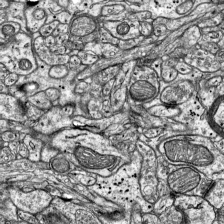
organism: Mouse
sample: Visual Cortex